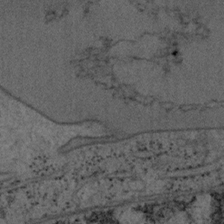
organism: Human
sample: HeLa cells